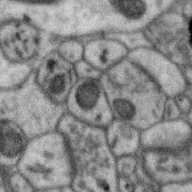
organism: Zebra finch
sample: Brain